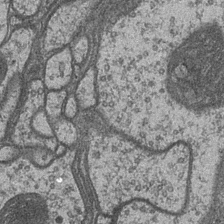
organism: Drosophila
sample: Optic medulla